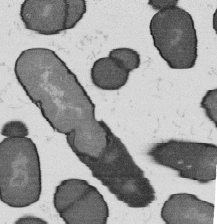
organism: B. subtilis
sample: Bacterial spore